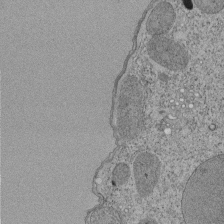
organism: Tetrahymena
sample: Cilia in tetrahymena